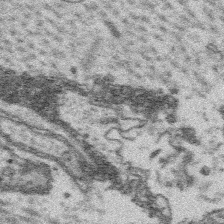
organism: Platynereis dumerilii